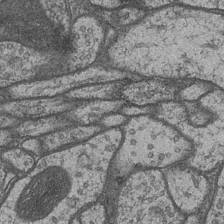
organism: Drosophila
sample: Optic medulla